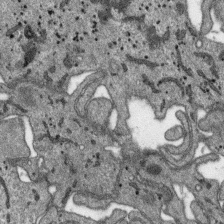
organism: Human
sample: Lung epithelial cells, uninfected (mock) control